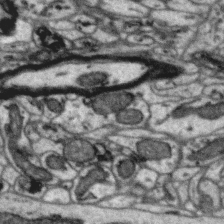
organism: Zebra finch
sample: Brain